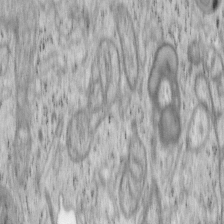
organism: Human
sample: HeLa cells